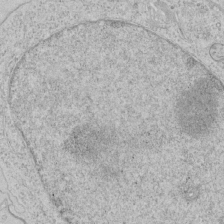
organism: Human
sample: Mitochondria in HCT116 cells